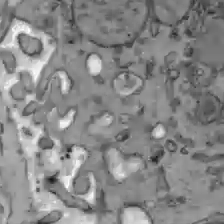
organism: C57BL Mouse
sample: Liver